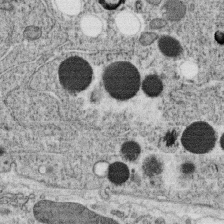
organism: C. elegans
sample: C. elegans oocyte; sperm cells